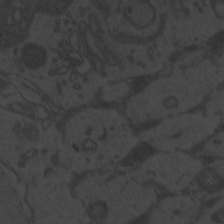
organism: Zebrafish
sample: Macrophage infected with Toxoplasma gondii